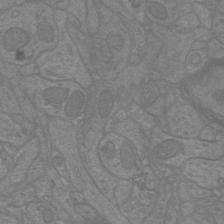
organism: Mouse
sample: Cortical neurons